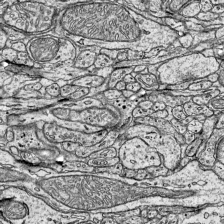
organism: Mouse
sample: Visual Cortex